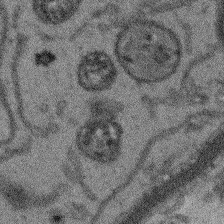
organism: Arabidopsis thaliana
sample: Root tip